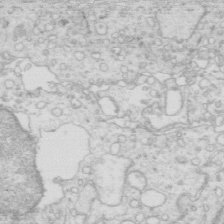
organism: Mouse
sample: Multiciliated cells